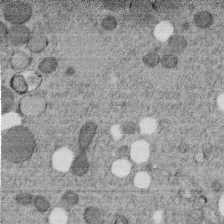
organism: C. elegans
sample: C. elegans embryo early stage